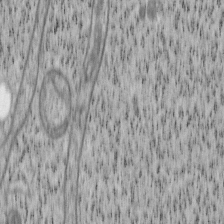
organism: Human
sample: HeLa cells